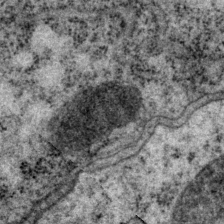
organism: P. pacificus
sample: Pharynx